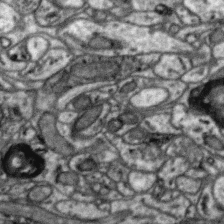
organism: Zebra finch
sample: Brain